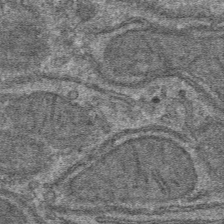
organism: Mouse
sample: Mouse hepatocytes